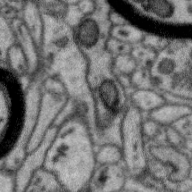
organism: Zebra finch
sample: Brain